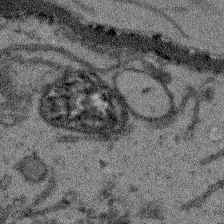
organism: Arabidopsis thaliana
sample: Root tip